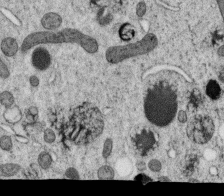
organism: C. elegans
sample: C. elegans oocyte; sperm cells